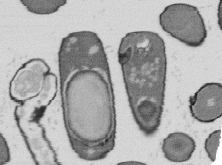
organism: B. subtilis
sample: Bacterial spore